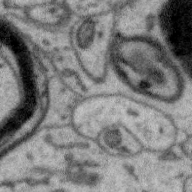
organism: Zebra finch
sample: Brain